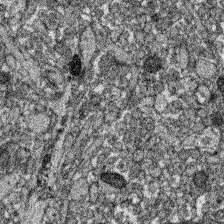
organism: Zebrafish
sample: Larval olfactory bulb